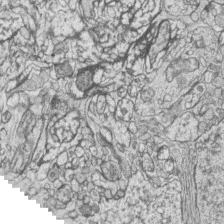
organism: Zebrafish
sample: synaptic ribbons in rod cells and cone cells